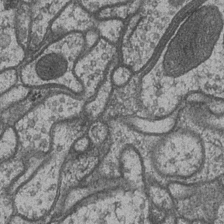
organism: Drosophila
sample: Optic medulla